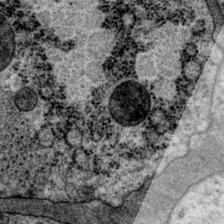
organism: P. pacificus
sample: Pharynx